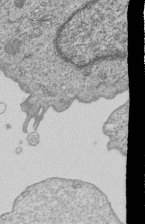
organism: Human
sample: MDA-MB-231 cells